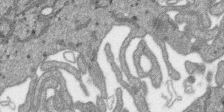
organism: Human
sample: Lung epithelial cells infected with SARS-CoV-2